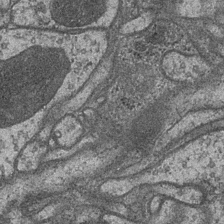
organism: Drosophila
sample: Optic medulla